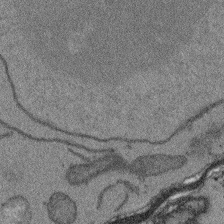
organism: Arabidopsis thaliana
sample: Root tip